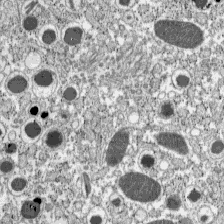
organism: C57BL Mouse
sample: Pancreatic islet